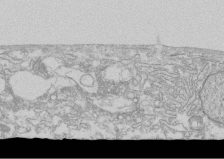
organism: Human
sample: CRL-1474